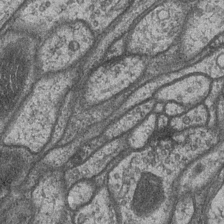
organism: Drosophila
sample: Optic medulla